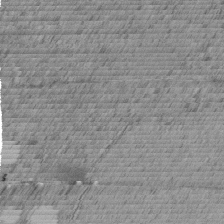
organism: C. elegans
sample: C. elegans embryo early stage